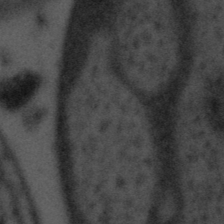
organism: Tuwongella immobilis